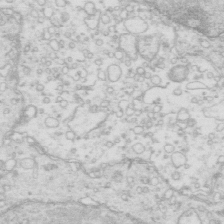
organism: Mouse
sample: Multiciliated cells